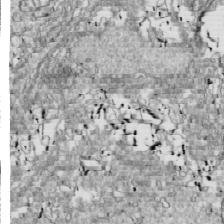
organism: Drosophila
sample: Cell division; meiosis; drosophila spermatocytes